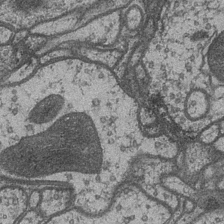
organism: Drosophila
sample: Optic medulla